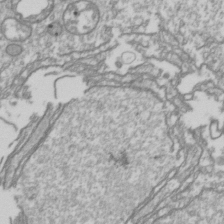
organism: Drosophila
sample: Cell division; meiosis; drosophila spermatocytes